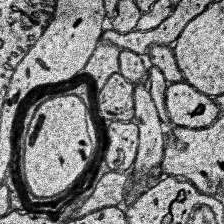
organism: Human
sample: Temporal Lobe